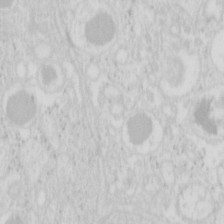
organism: Mouse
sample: Pancreas